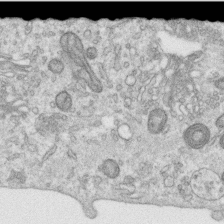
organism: Human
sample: Centriole in RPE cells